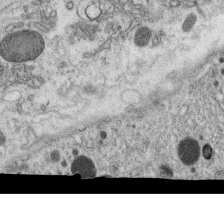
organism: C. elegans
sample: C. elegans oocyte; sperm cells